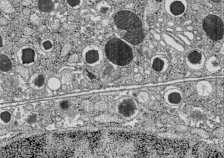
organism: C57BL Mouse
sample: Pancreatic islet